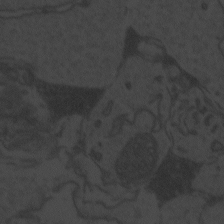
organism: Zebrafish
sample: Macrophage infected with Toxoplasma gondii